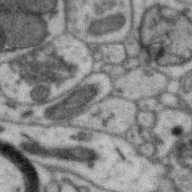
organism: Zebra finch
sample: Brain